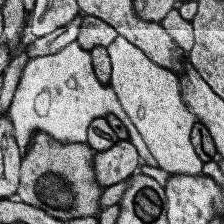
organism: Human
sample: Temporal Lobe